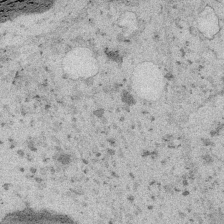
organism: Embia sp.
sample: Silk gland